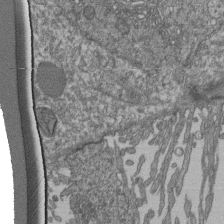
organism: Human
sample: Retinal organoid Rod and Cone cells